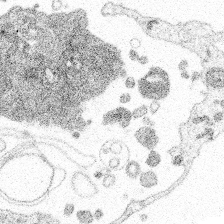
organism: Spongilla lacustris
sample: Multiple